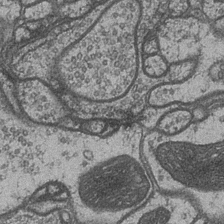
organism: Drosophila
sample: Optic medulla